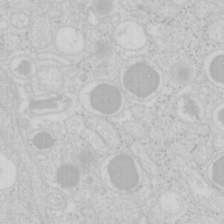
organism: Mouse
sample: Pancreas